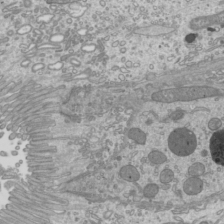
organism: Mouse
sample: Cilia; mouse epididymis